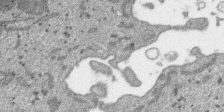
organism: Human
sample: Lung epithelial cells infected with SARS-CoV-2